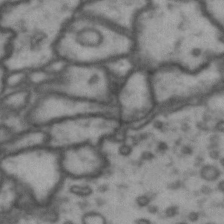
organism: Drosophila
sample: Brain